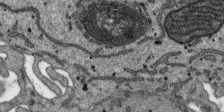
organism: Human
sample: Lung epithelial cells, uninfected (mock) control